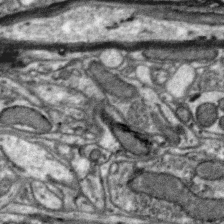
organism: Zebra finch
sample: Brain